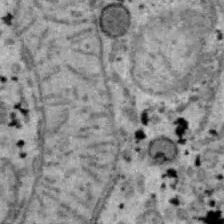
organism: Mouse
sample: Liver from an obese (ob/ob) mouse